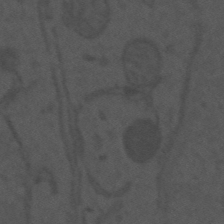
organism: Mouse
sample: Suprachiasmatic nucleus